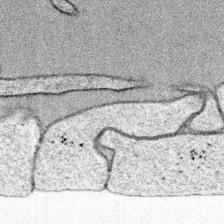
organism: Human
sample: HeLa cells